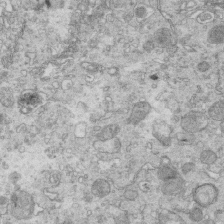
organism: Mouse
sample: Multiciliated cells